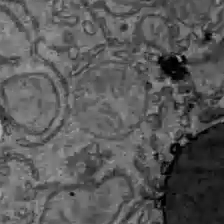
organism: C57BL Mouse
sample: Liver